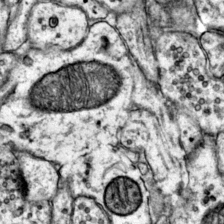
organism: Mouse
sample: Primary visual cortex